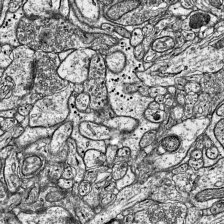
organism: Mouse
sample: Visual Cortex